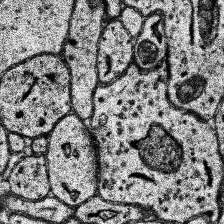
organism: Human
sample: Temporal Lobe